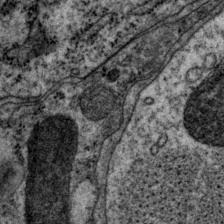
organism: P. pacificus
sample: Pharynx